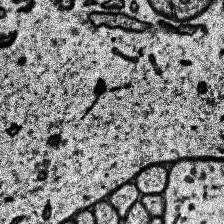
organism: Human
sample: Temporal Lobe